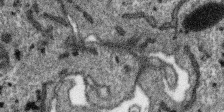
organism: Human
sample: Lung epithelial cells infected with SARS-CoV-2